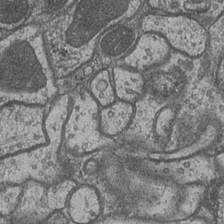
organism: Drosophila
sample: Optic medulla